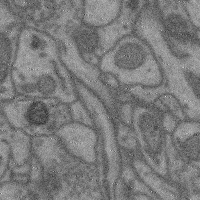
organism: Mouse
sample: Cerebral cortex